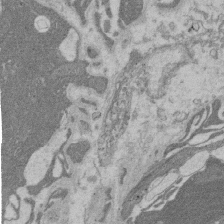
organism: Rat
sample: Salivary granule